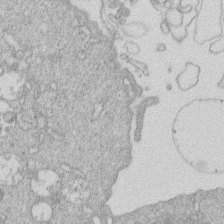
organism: Human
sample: Macrophage cells